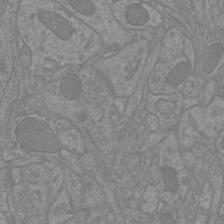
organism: Mouse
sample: Cortical neurons